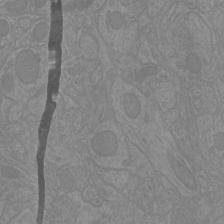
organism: Mouse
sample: Cortical neurons